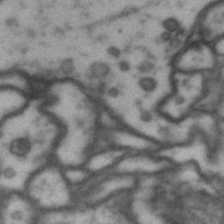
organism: Drosophila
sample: Brain